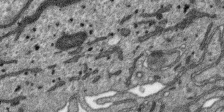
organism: Human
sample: Lung epithelial cells, uninfected (mock) control